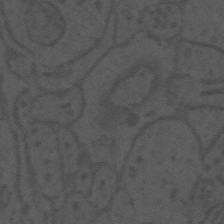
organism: Mouse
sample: Suprachiasmatic nucleus